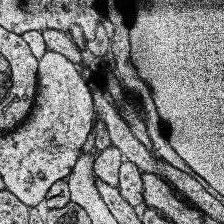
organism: Human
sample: Temporal Lobe